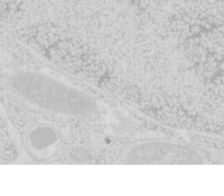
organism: Mouse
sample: Pancreas